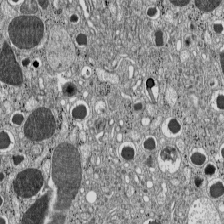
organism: C57BL Mouse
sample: Pancreatic islet